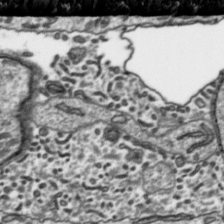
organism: Toxoplasma gondii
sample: Parasites in a vacuole inside a host cell